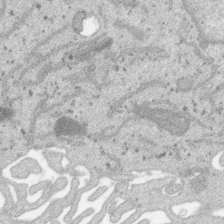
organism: Human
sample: Lung epithelial cells infected with SARS-CoV-2